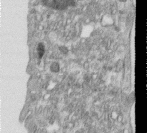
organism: Human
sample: Centriole in RPE cells